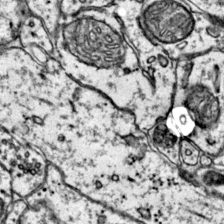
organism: Mouse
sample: Primary visual cortex